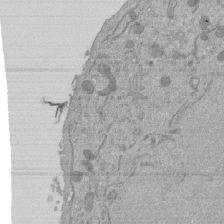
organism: Mouse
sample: ED-1 cell nuclei; centrioles